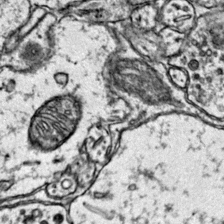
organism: Mouse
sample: Primary visual cortex